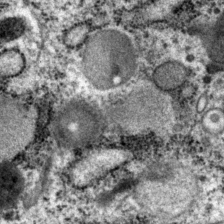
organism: P. pacificus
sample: Pharynx